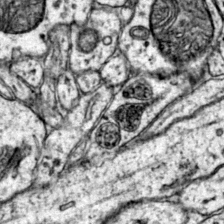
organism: Mouse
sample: Primary visual cortex